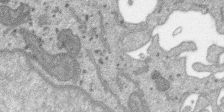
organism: Human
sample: Lung epithelial cells infected with SARS-CoV-2